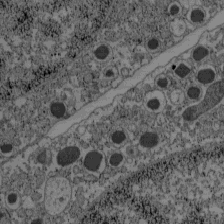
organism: C57BL Mouse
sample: Pancreatic islet